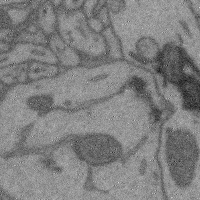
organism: Mouse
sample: Cerebral cortex